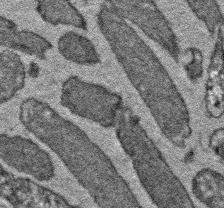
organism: E. coli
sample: E. Coli Bacteria